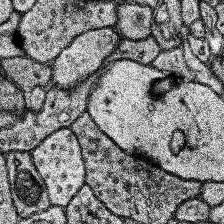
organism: Human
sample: Temporal Lobe